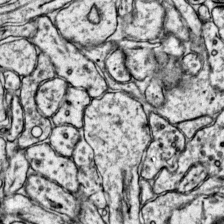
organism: Mouse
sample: Primary visual cortex